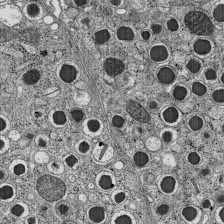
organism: C57BL Mouse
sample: Pancreatic islet